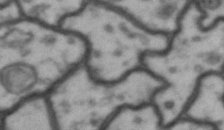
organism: Drosophila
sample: Brain